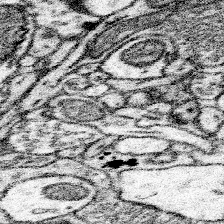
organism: Mouse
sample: Somatosensory cortex neuropil